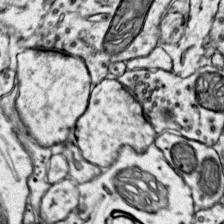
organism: Mouse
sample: Primary visual cortex